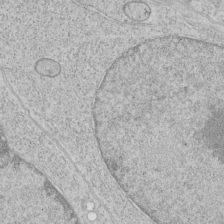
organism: Human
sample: Mitochondria in HCT116 cells